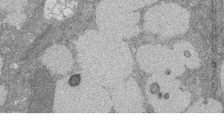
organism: Rat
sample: Salivary granule